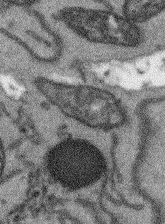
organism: Arabidopsis thaliana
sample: Root tip